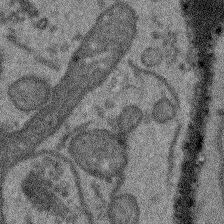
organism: Arabidopsis thaliana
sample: Root tip